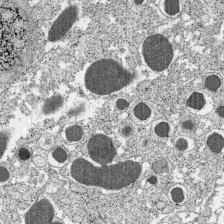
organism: C57BL Mouse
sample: Pancreatic islet